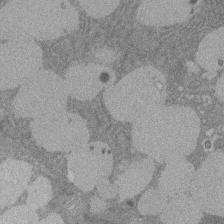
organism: Rat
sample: Salivary granule